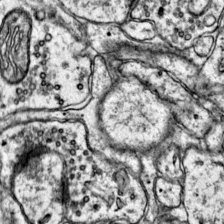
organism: Mouse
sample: Primary visual cortex